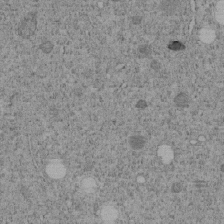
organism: C. elegans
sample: C. elegans embryo early stage